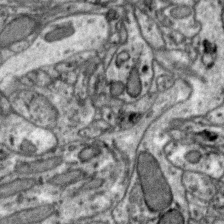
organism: Zebra finch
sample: Brain